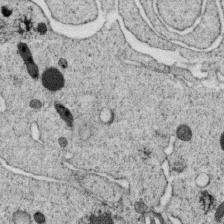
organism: C. elegans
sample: C. elegans oocyte; sperm cells